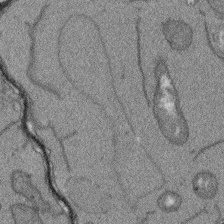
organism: Arabidopsis thaliana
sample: Root tip